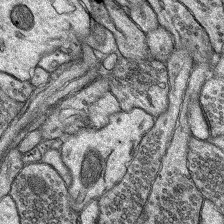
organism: Rat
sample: Hippocampus